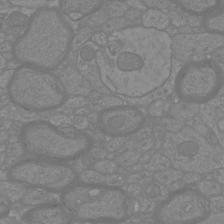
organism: Mouse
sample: Cortical neurons